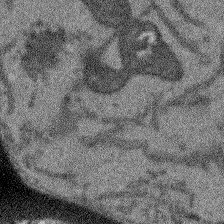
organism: Arabidopsis thaliana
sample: Root tip